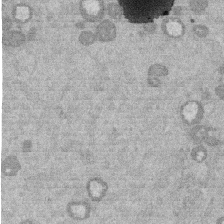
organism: Mouse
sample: Dividing mouse embryo 1 cell stage